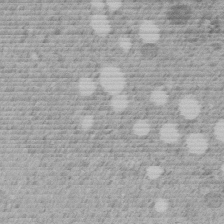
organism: C. elegans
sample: C. elegans embryo early stage